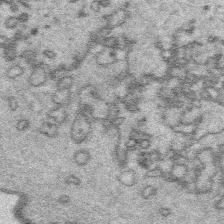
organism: Platynereis dumerilii